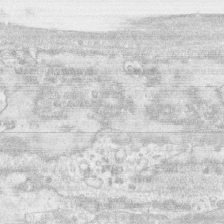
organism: Human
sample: CRL-1474